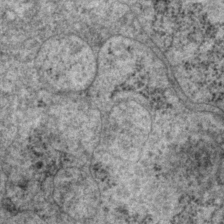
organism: P. pacificus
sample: Pharynx